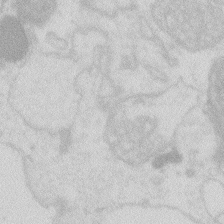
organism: Zebrafish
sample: Macrophage